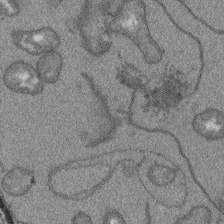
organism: Arabidopsis thaliana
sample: Root tip